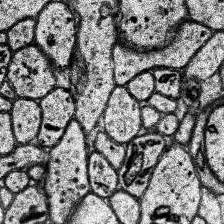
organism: Human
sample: Temporal Lobe